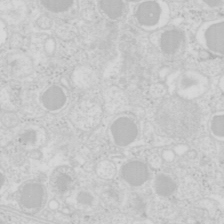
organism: Mouse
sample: Pancreas